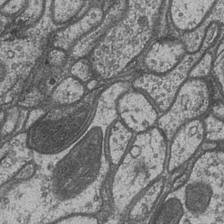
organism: Drosophila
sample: Optic medulla